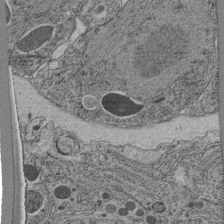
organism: C. elegans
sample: C. elegans pharynx